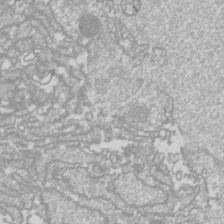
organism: Drosophila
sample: Cell division; meiosis; drosophila spermatocytes